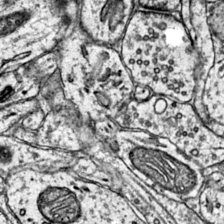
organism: Mouse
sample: Primary visual cortex